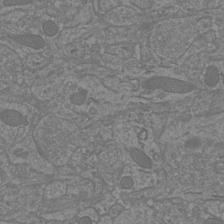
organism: Mouse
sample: Cortical neurons